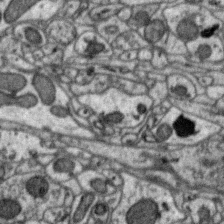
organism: Zebra finch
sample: Brain